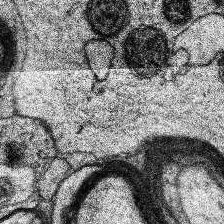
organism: Human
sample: Temporal Lobe